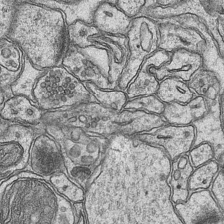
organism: Mouse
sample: CA1 Hippocampus